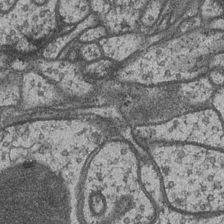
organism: Drosophila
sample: Optic medulla